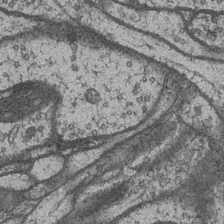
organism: Drosophila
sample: Optic medulla